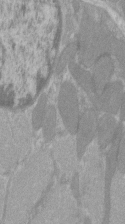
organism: C57BL Mouse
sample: Tibialis anterior muscle cell